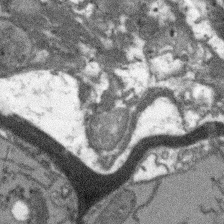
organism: Arabidopsis thaliana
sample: Root tip